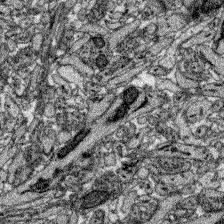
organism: Zebrafish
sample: Larval olfactory bulb